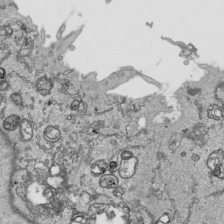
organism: Human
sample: Mitochondria in HCT116 cells